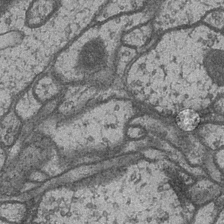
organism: Drosophila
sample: Optic medulla